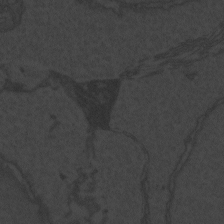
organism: Zebrafish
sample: Macrophage infected with Toxoplasma gondii